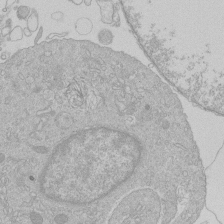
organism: Human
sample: Macrophage cells